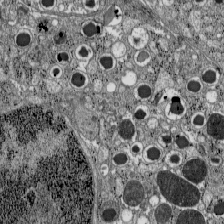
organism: C57BL Mouse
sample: Pancreatic islet